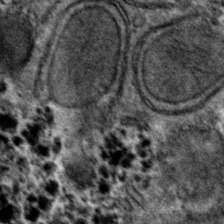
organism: Mouse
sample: Mouse hepatocytes